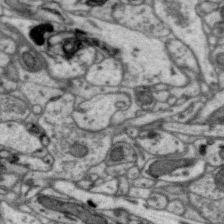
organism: Zebra finch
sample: Brain